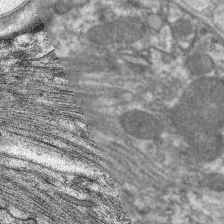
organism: C. elegans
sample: Pharynx